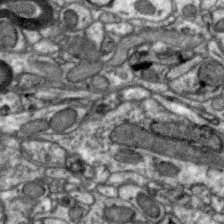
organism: Zebra finch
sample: Brain